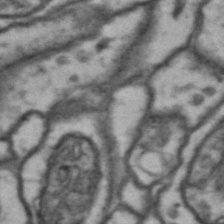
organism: Drosophila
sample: Brain